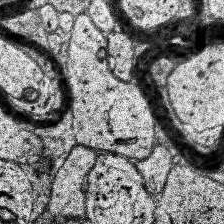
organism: Human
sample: Temporal Lobe